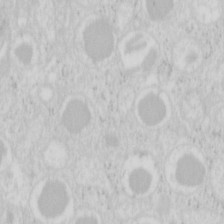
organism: Mouse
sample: Pancreas